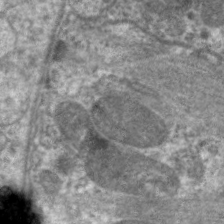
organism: C. elegans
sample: Pharynx